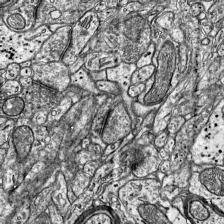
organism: Mouse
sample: Visual Cortex